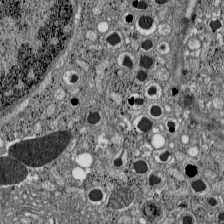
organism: C57BL Mouse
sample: Pancreatic islet